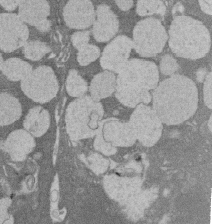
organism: Rat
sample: Salivary granule